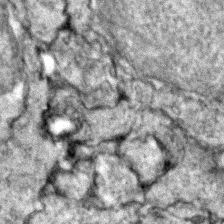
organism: Zebrafish